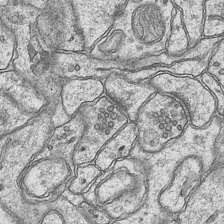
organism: Mouse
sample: CA1 Hippocampus